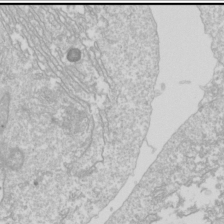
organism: Drosophila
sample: Cell division; meiosis; drosophila spermatocytes